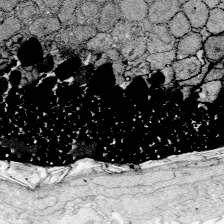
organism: Zebrafish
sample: Whole-Brain